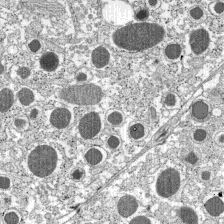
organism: C57BL Mouse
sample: Pancreatic islet